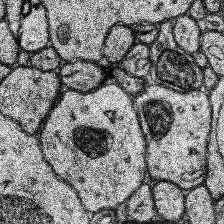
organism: Human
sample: Temporal Lobe